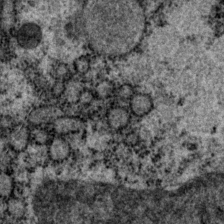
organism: P. pacificus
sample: Pharynx